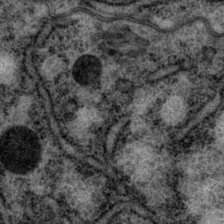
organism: P. pacificus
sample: Pharynx